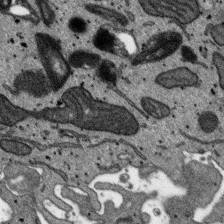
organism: Human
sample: Lung epithelial cells, uninfected (mock) control